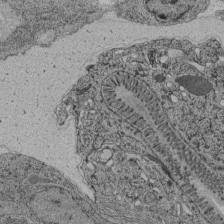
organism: C. elegans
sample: C. elegans pharynx